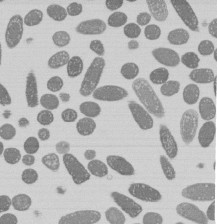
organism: E. coli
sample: Bacterial nucleoid